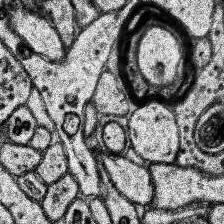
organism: Human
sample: Temporal Lobe